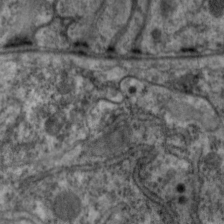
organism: C. elegans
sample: Pharynx